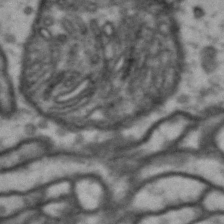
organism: Drosophila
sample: Brain